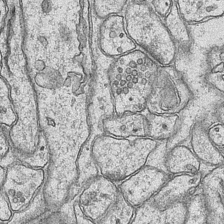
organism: Mouse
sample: CA1 Hippocampus